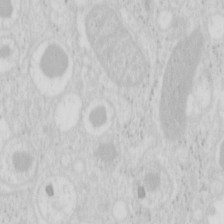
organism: Mouse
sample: Pancreas